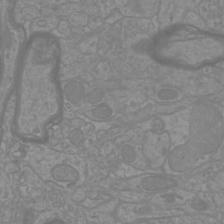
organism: Mouse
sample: Cortical neurons